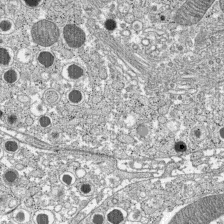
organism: C57BL Mouse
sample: Pancreatic islet